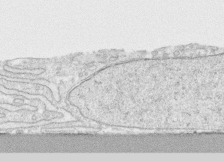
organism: Human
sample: CRL-1474